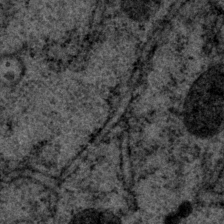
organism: P. pacificus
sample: Pharynx